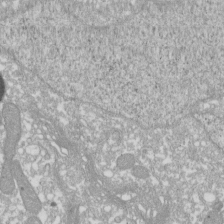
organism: Xenopus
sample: Cilia; centrioles in frog embryo cells